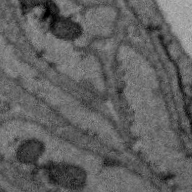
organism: Zebra finch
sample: Brain